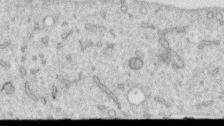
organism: Human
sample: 1205lu cells